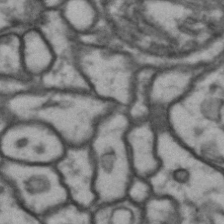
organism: Drosophila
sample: Brain